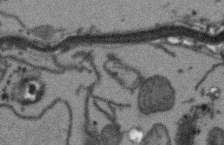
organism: Arabidopsis thaliana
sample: Root tip